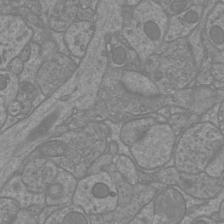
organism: Mouse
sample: Cortical neurons